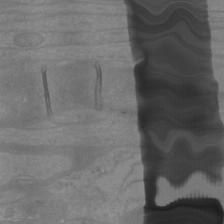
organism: Mouse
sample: Cortical neurons